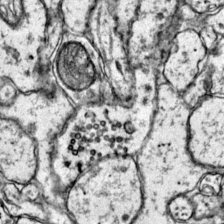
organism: Mouse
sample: Primary visual cortex